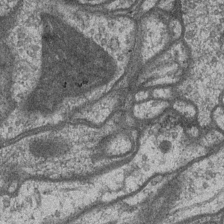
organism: Drosophila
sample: Optic medulla